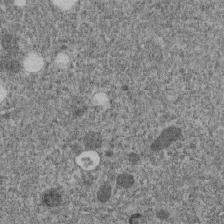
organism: C. elegans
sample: C. elegans embryo early stage